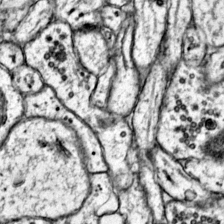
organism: Mouse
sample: Primary visual cortex